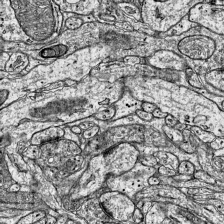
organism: Mouse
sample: Visual Cortex